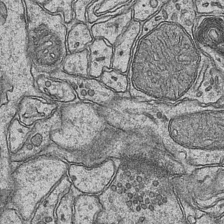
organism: Mouse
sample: CA1 Hippocampus